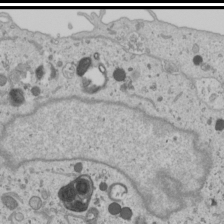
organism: Human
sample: Mitochondria in U2OS cells